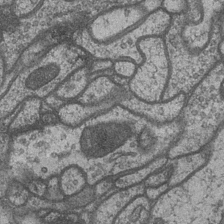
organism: Drosophila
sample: Optic medulla